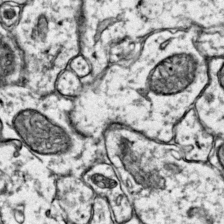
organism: Mouse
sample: Primary visual cortex